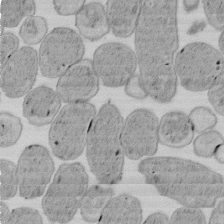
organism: E. coli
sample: Bacterial nucleoid